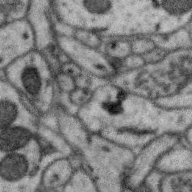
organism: Zebra finch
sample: Brain